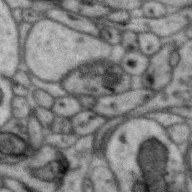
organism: Zebra finch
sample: Brain